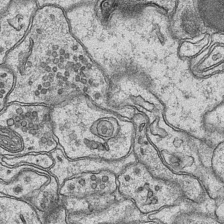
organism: Mouse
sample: CA1 Hippocampus